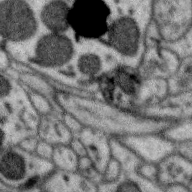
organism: Zebra finch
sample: Brain